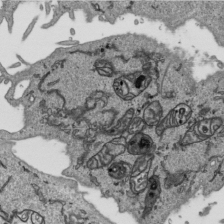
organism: Human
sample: Mitochondria in HCT116 cells